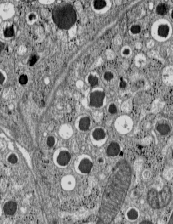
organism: C57BL Mouse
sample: Pancreatic islet